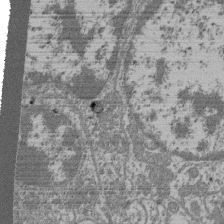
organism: Mouse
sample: Glomerulus